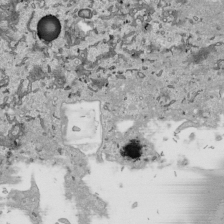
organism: Human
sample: Mitochondria in HCT116 cells